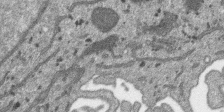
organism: Human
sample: Lung epithelial cells infected with SARS-CoV-2